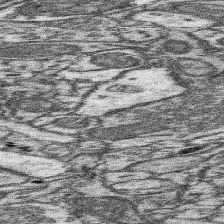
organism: Mouse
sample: Somatosensory cortex neuropil